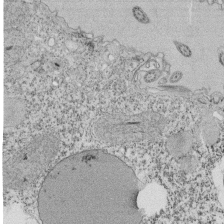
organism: Tetrahymena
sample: Cilia in tetrahymena